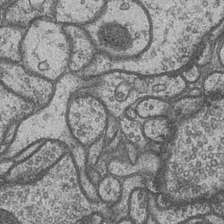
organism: Drosophila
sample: Optic medulla